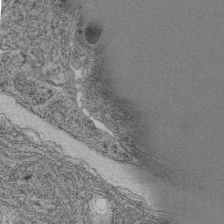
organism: C. elegans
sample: C. elegans pharynx